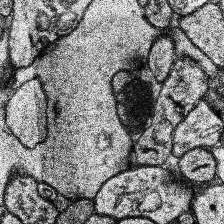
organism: Human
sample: Temporal Lobe